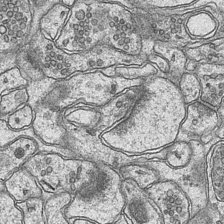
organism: Mouse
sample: CA1 Hippocampus